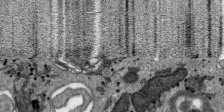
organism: Human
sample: Lung epithelial cells, uninfected (mock) control